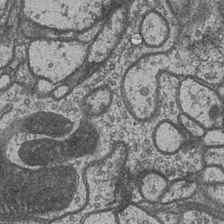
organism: Drosophila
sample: Optic medulla